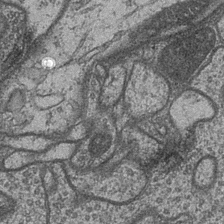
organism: Drosophila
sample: Optic medulla